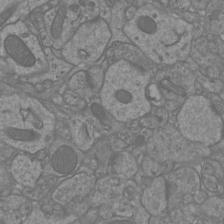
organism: Mouse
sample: Cortical neurons